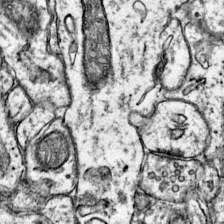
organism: Mouse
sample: Primary visual cortex